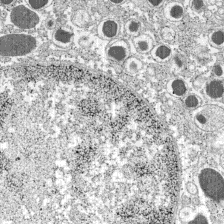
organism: C57BL Mouse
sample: Pancreatic islet